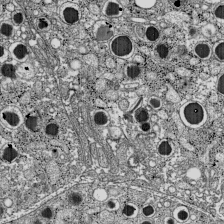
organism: C57BL Mouse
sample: Pancreatic islet